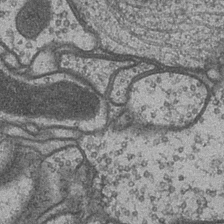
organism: Drosophila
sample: Optic medulla